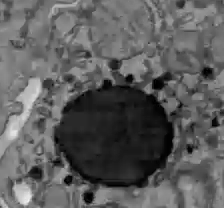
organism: C57BL Mouse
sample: Liver